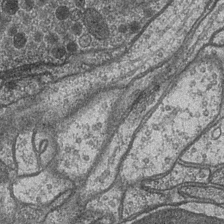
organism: Drosophila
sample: Optic medulla